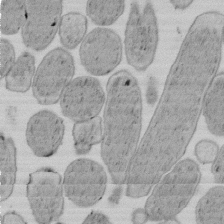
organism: E. coli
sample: Bacterial nucleoid